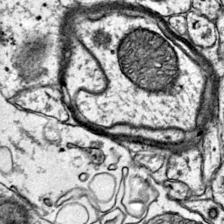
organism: Mouse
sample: Primary visual cortex